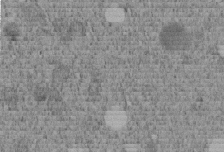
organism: C. elegans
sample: C. elegans embryo early stage